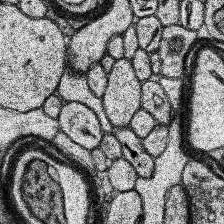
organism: Human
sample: Temporal Lobe